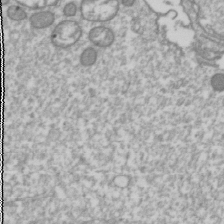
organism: Drosophila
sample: Cell division; meiosis; drosophila spermatocytes